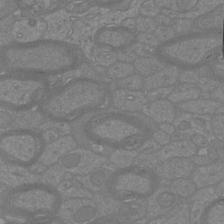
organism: Mouse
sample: Cortical neurons